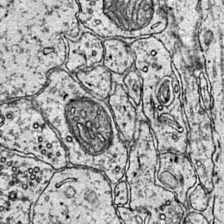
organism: Mouse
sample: Primary visual cortex